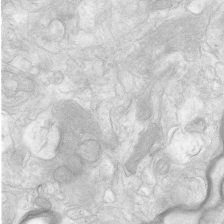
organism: Human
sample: Neocortex